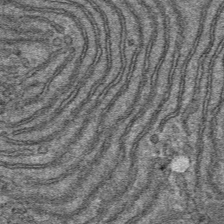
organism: Mouse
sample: Mouse hepatocytes